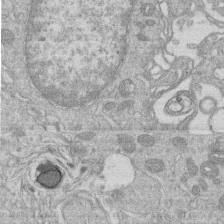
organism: Human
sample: Macrophage cells